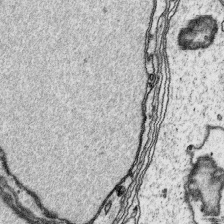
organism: Platynereis dumerilii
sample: Parapodia